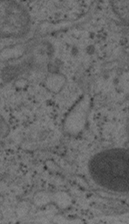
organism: Human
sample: HeLa cells